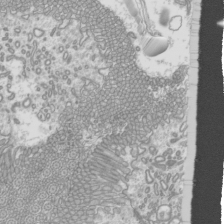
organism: Mouse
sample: Cilia; mouse epididymis